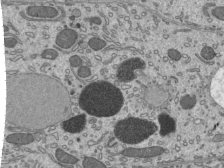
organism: Mouse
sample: Mouse epididymis efferent ductule cilia